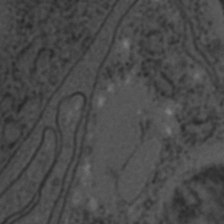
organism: C. elegans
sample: C. elegans embryo